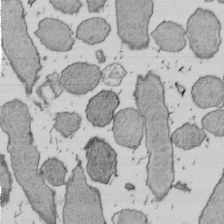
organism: E. coli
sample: Bacterial nucleoid